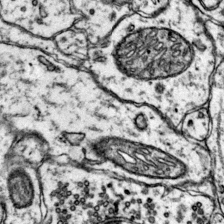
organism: Mouse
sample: Primary visual cortex